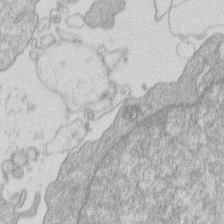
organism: Human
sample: Macrophage cells